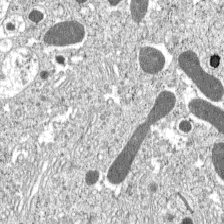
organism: C57BL Mouse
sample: Pancreatic islet